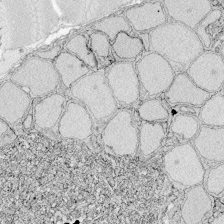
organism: Zebrafish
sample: Whole-Brain